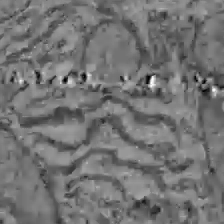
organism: C57BL Mouse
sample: Liver